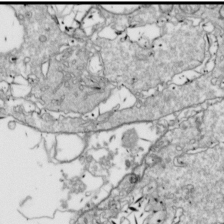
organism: Drosophila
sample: Cell division; meiosis; drosophila spermatocytes